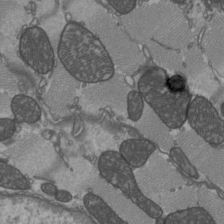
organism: C57BL Mouse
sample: Heart